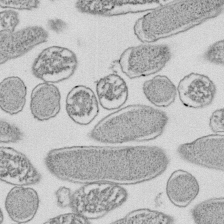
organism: E. coli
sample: Bacterial nucleoid